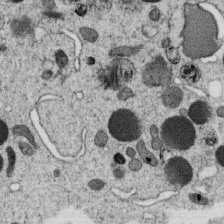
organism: C. elegans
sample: C. elegans oocyte; sperm cells